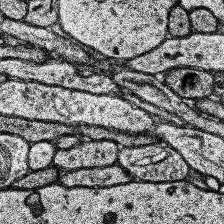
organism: Human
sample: Temporal Lobe